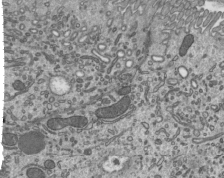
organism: Mouse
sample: Mouse epididymis efferent ductule cilia